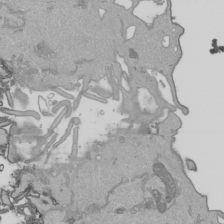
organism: Human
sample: Mitochondria in HCT116 cells